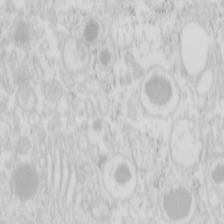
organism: Mouse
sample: Pancreas